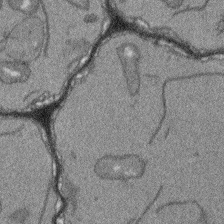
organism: Arabidopsis thaliana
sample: Root tip